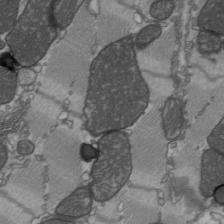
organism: C57BL Mouse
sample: Heart